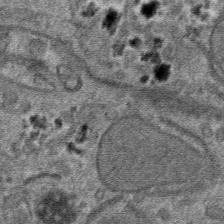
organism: Mouse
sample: Mouse hepatocytes